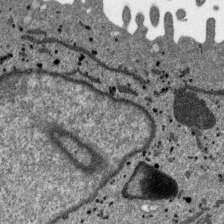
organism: Human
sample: Lung epithelial cells, uninfected (mock) control